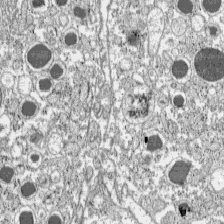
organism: C57BL Mouse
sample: Pancreatic islet